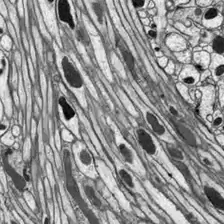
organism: Drosophila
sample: Optic lobe